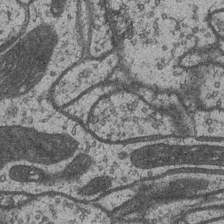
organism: Drosophila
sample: Optic medulla